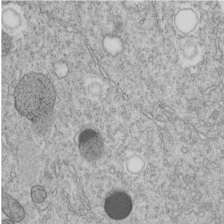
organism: C. elegans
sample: C. elegans embryo early stage